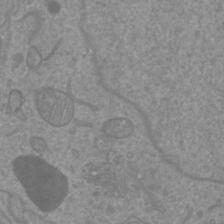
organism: Mouse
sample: Cortical neurons